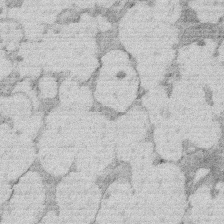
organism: Rat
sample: Salivary granule